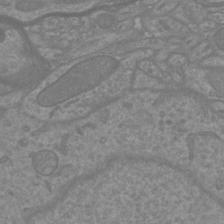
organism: Mouse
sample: Cortical neurons